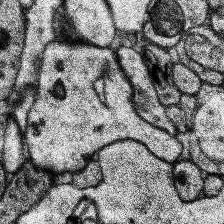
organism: Human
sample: Temporal Lobe